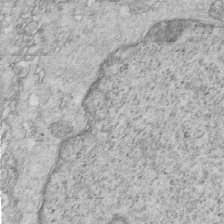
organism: Mouse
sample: Multiciliated cells